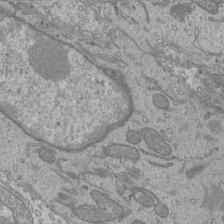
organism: Mouse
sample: Cilia; mouse epididymis